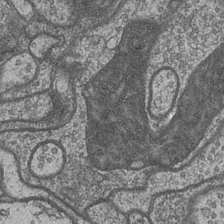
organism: Drosophila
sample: Optic medulla